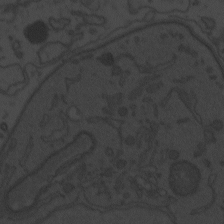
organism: Zebrafish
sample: Macrophage infected with Toxoplasma gondii